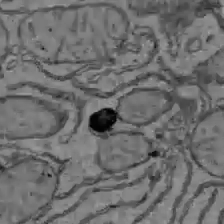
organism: C57BL Mouse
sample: Liver